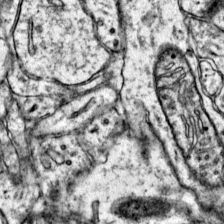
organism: Mouse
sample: Primary visual cortex